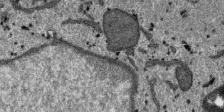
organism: Human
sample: Lung epithelial cells, uninfected (mock) control